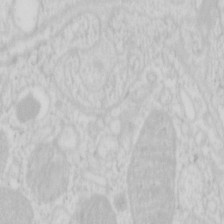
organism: Mouse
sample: Pancreas